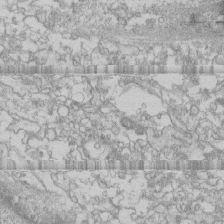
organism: Human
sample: CRL-1474